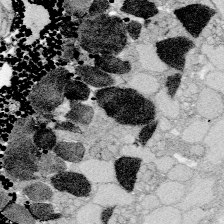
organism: Zebrafish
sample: Whole-Brain